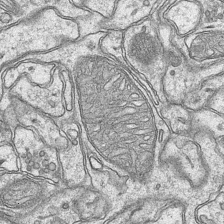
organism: Mouse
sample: CA1 Hippocampus